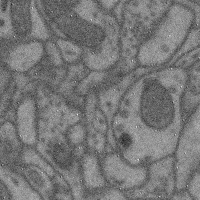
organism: Mouse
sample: Cerebral cortex